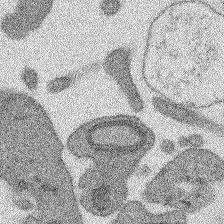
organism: Human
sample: HeLa cells